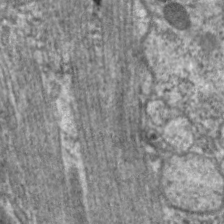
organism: C. elegans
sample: Pharynx